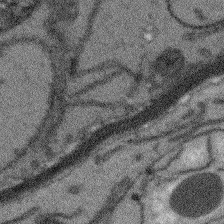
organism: Arabidopsis thaliana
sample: Root tip